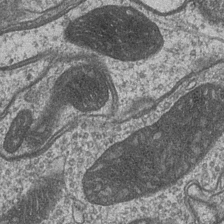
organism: Drosophila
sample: Optic medulla